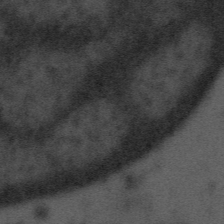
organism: Tuwongella immobilis